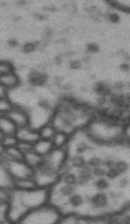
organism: Drosophila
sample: Brain